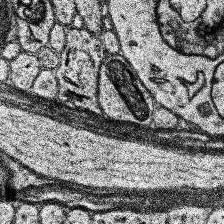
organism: Human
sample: Temporal Lobe